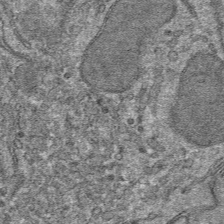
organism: Mouse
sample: Mouse hepatocytes